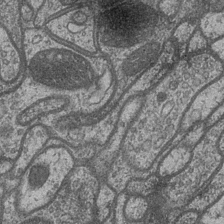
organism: Drosophila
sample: Optic medulla